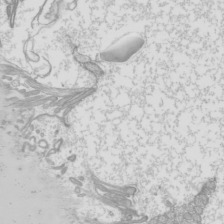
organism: Mouse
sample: Cilia; mouse epididymis